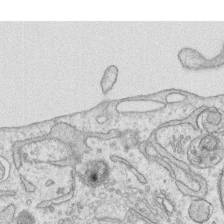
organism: Human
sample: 1205lu cells